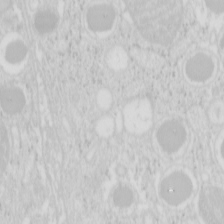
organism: Mouse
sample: Pancreas